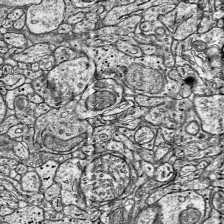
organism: Mouse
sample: Visual Cortex